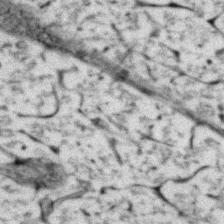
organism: Zebrafish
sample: Zebrafish embryo